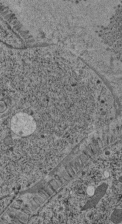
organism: C. elegans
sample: C. elegans pharynx